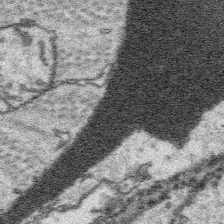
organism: Platynereis dumerilii